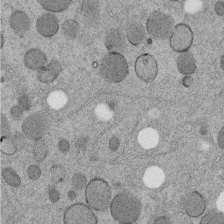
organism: C. elegans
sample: C. elegans embryo early stage